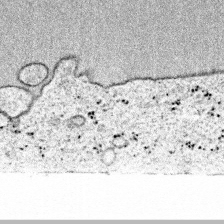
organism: Human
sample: HeLa cells